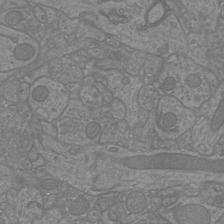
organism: Mouse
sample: Cortical neurons